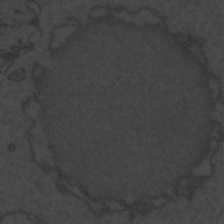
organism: Zebrafish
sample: Macrophage infected with Toxoplasma gondii